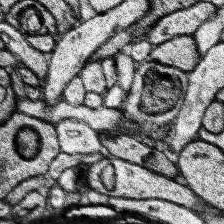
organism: Human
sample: Temporal Lobe